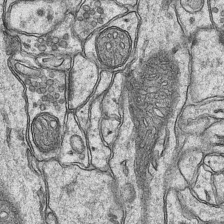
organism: Mouse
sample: CA1 Hippocampus